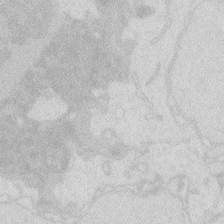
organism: Zebrafish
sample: Macrophage